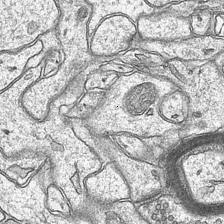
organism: Mouse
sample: CA1 Hippocampus